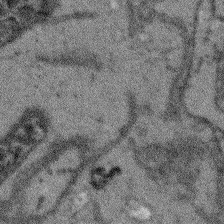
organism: Arabidopsis thaliana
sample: Root tip